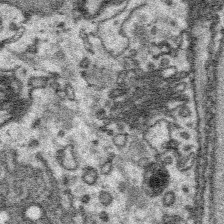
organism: Platynereis dumerilii